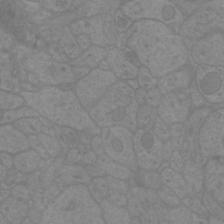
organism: Mouse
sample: Cortical neurons